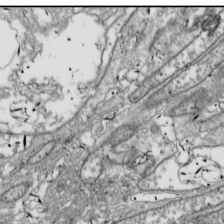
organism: Drosophila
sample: Cell division; meiosis; drosophila spermatocytes